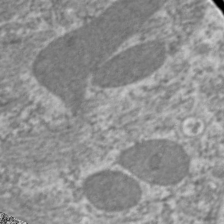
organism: C. elegans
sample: Pharynx